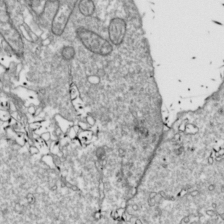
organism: Drosophila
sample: Cell division; meiosis; drosophila spermatocytes